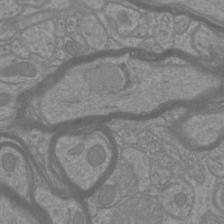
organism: Mouse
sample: Cortical neurons